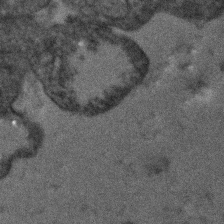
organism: Human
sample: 1205lu cells